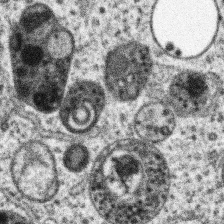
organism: Human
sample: HeLa cells